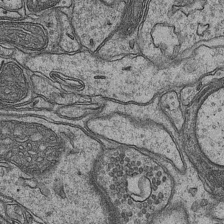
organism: Mouse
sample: CA1 Hippocampus